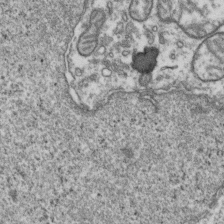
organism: Human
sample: Activated Jurkat CD4+ T cells